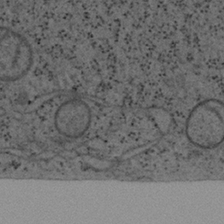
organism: Human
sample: HeLa cells